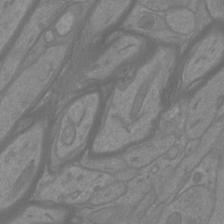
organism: Mouse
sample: Cortical neurons